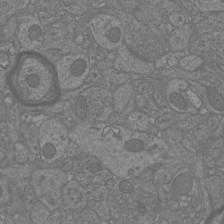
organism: Mouse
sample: Cortical neurons